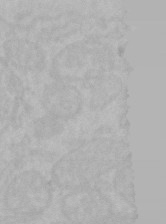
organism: Mouse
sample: Choroid plexus